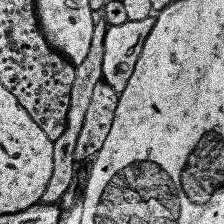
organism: Human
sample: Temporal Lobe